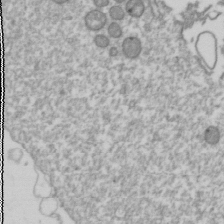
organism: Drosophila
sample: Cell division; meiosis; drosophila spermatocytes